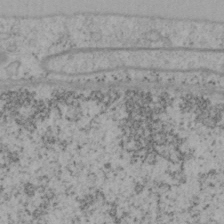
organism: Human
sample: HeLa cells